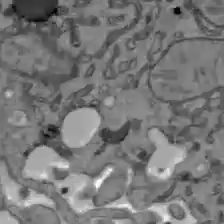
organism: C57BL Mouse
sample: Liver